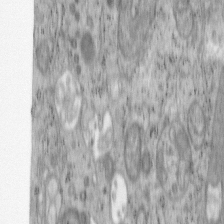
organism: Human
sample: HeLa cells